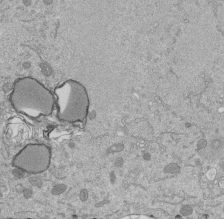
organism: Mouse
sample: ED-1 cell nuclei; centrioles